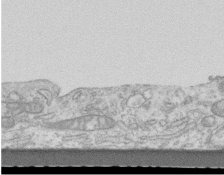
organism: Mouse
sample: Centriole in ependymal cells